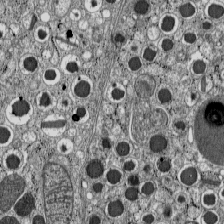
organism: C57BL Mouse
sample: Pancreatic islet